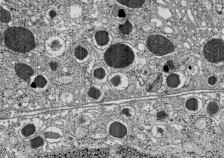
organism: C57BL Mouse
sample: Pancreatic islet